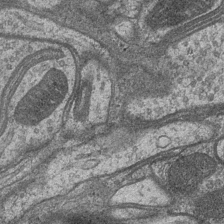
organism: Drosophila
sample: Optic medulla